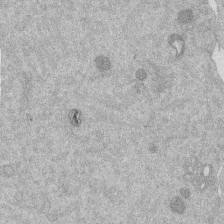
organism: Mouse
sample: Dividing mouse embryo 1 cell stage